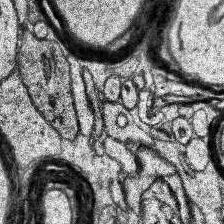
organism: Human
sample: Temporal Lobe